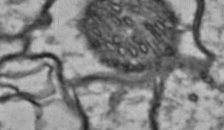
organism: Drosophila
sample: Brain